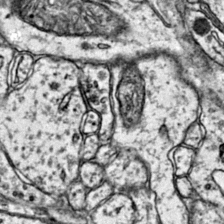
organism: Mouse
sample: Primary visual cortex